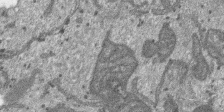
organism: Human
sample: Lung epithelial cells infected with SARS-CoV-2